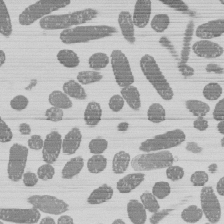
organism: E. coli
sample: Bacterial nucleoid